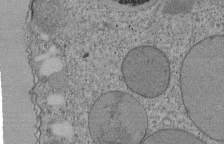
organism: Tetrahymena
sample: Cilia in tetrahymena